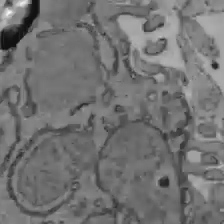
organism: C57BL Mouse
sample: Liver